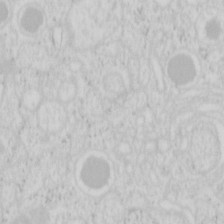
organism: Mouse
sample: Pancreas